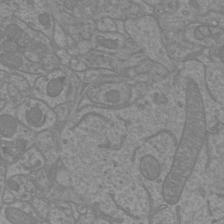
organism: Mouse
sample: Cortical neurons